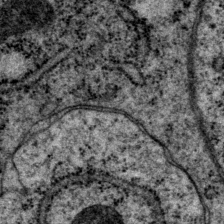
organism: P. pacificus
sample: Pharynx